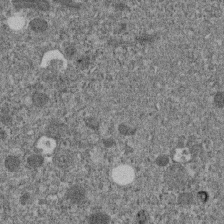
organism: C. elegans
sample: C. elegans embryo early stage